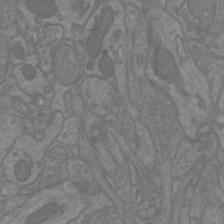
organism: Mouse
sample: Cortical neurons